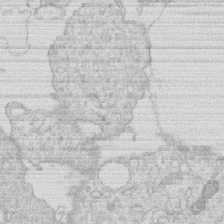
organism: Human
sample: Macrophage cells